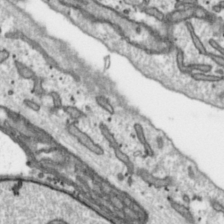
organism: Toxoplasma gondii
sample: Parasites in a vacuole inside a host cell